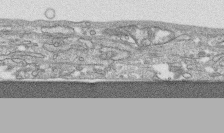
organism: Human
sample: CRL-1474